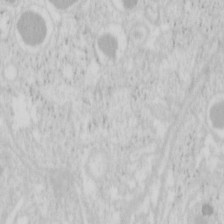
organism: Mouse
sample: Pancreas